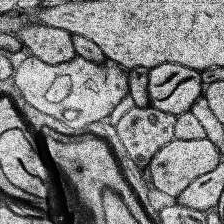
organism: Human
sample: Temporal Lobe